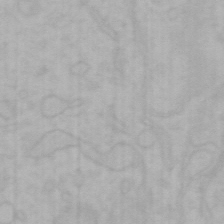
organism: Mouse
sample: Choroid plexus